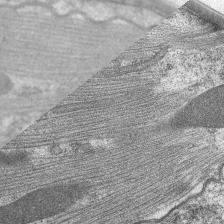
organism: C. elegans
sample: Pharynx